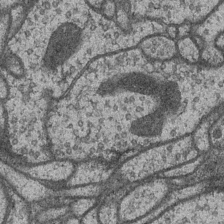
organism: Drosophila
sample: Optic medulla